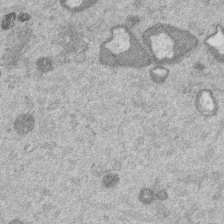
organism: Mouse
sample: Dividing mouse embryo 1 cell stage